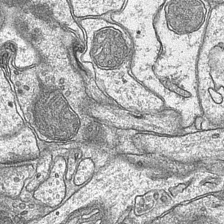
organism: Mouse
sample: CA1 Hippocampus